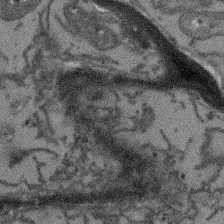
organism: Arabidopsis thaliana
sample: Root tip